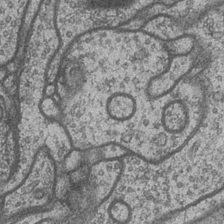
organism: Drosophila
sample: Optic medulla